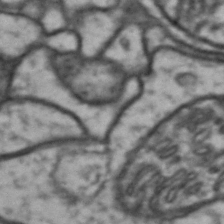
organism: Drosophila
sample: Brain